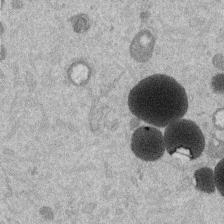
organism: Mouse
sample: Dividing mouse embryo 1 cell stage